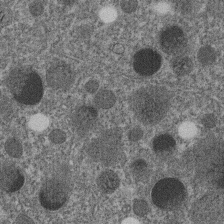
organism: C. elegans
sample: C. elegans embryo early stage